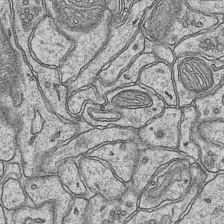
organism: Mouse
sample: CA1 Hippocampus